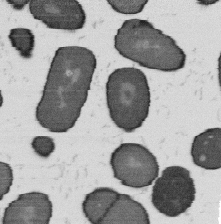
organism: B. subtilis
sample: Bacterial spore